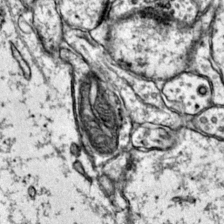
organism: Mouse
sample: Primary visual cortex